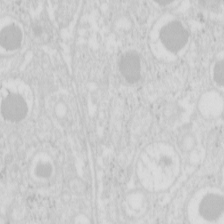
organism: Mouse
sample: Pancreas